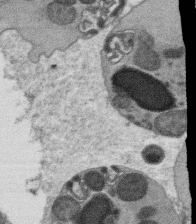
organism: C. elegans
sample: C. elegans oocyte; sperm cells